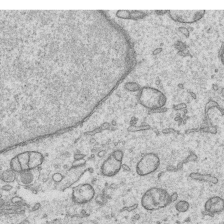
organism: Human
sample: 1205lu cells